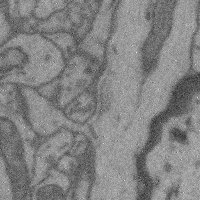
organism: Mouse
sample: Cerebral cortex